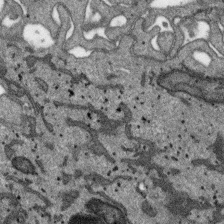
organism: Human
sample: Lung epithelial cells, uninfected (mock) control